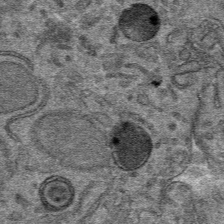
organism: Mouse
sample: Mouse hepatocytes